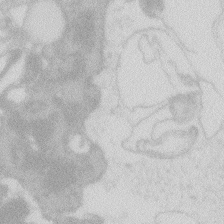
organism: Zebrafish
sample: Macrophage